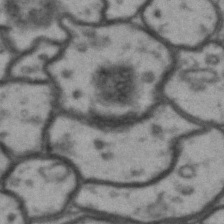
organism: Drosophila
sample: Brain